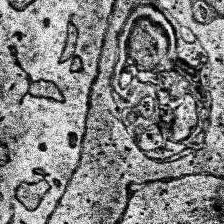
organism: Human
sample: Temporal Lobe